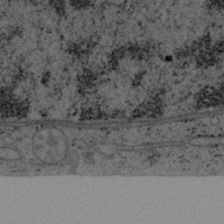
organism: Human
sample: HeLa cells